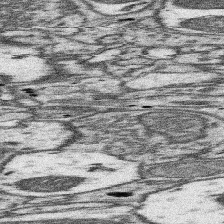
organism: Mouse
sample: Somatosensory cortex neuropil